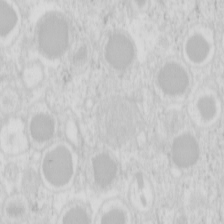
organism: Mouse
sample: Pancreas